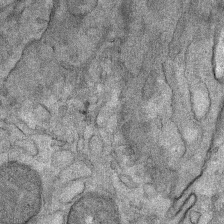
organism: Mouse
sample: Mouse Salivary gland